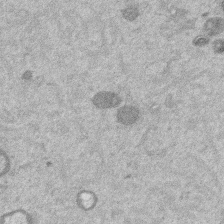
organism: Mouse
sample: Dividing mouse embryo 1 cell stage